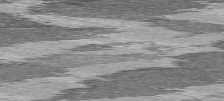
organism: C57BL Mouse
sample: Heart